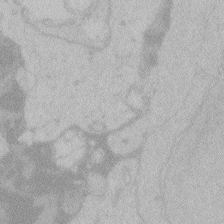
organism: Zebrafish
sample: Macrophage infected with Toxoplasma gondii